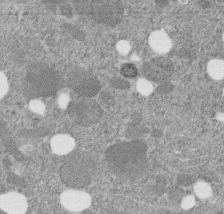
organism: C. elegans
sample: C. elegans embryo early stage